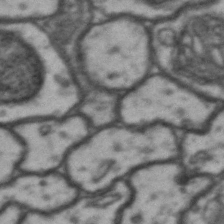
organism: Drosophila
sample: Brain